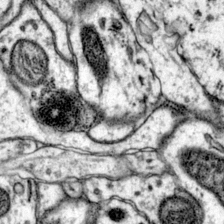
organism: Mouse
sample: Primary visual cortex